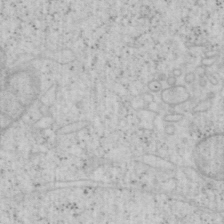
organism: Human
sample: HeLa cells